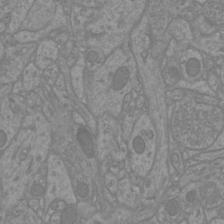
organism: Mouse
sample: Cortical neurons